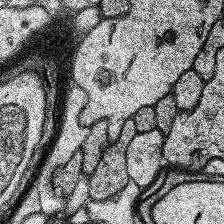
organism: Human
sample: Temporal Lobe